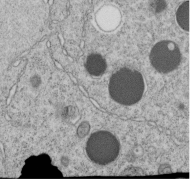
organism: C. elegans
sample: C. elegans embryo early stage